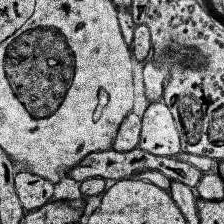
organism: Human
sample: Temporal Lobe